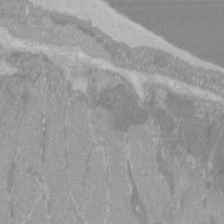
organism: C57BL Mouse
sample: Tibialis anterior muscle cell